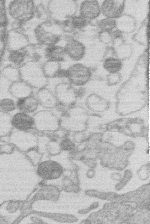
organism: Human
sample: Macrophage cells